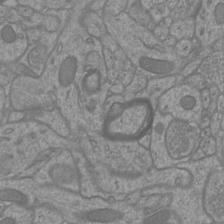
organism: Mouse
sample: Cortical neurons